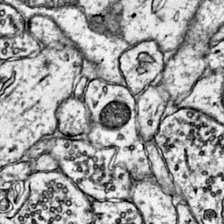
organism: Mouse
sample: Primary visual cortex